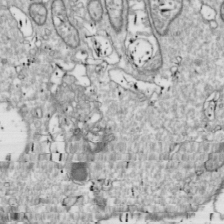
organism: Drosophila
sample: Cell division; meiosis; drosophila spermatocytes